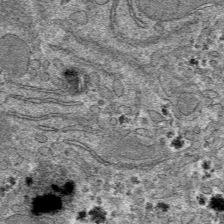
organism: Mouse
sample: Mouse hepatocytes